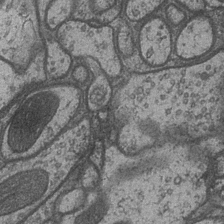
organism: Drosophila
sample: Optic medulla